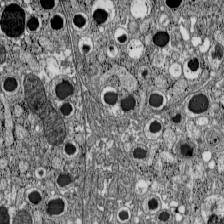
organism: C57BL Mouse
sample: Pancreatic islet